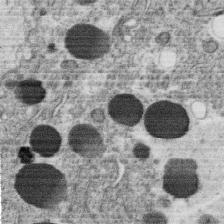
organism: C. elegans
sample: C. elegans oocyte; sperm cells